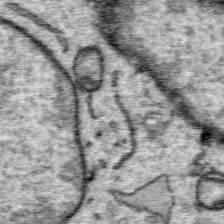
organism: Human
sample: HeLa cells